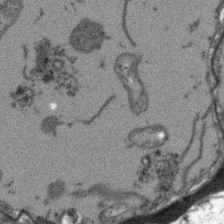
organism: Arabidopsis thaliana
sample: Root tip